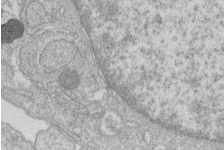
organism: Human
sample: Macrophage cells